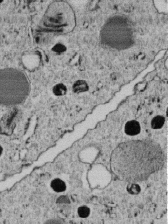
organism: C. elegans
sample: C. elegans embryo early stage